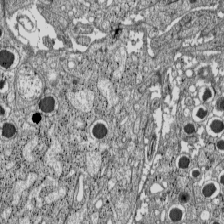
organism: C57BL Mouse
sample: Pancreatic islet